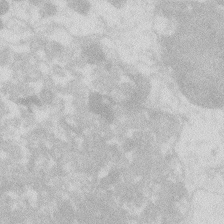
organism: Zebrafish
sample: Macrophage